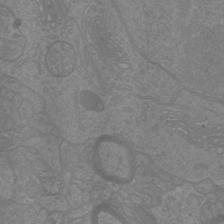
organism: Mouse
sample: Cortical neurons